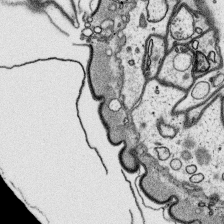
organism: Platynereis dumerilii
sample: Parapodia